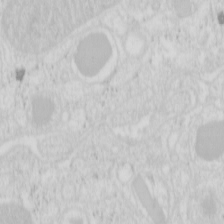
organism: Mouse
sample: Pancreas